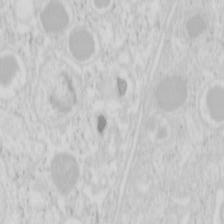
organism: Mouse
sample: Pancreas